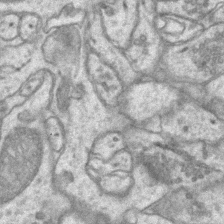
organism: Mouse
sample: CA1 Hippocampus